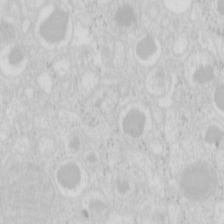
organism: Mouse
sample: Pancreas